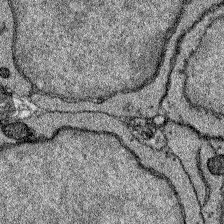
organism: Zebrafish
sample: Larval olfactory bulb